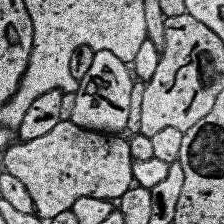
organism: Human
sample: Temporal Lobe